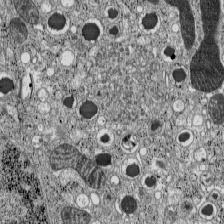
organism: C57BL Mouse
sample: Pancreatic islet